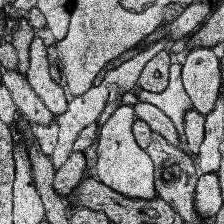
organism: Human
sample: Temporal Lobe